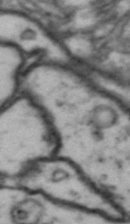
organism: Drosophila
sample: Brain